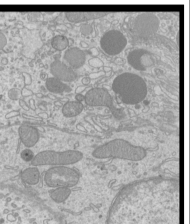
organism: Mouse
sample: Cilia; mouse epididymis